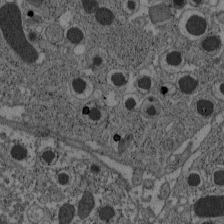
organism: C57BL Mouse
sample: Pancreatic islet